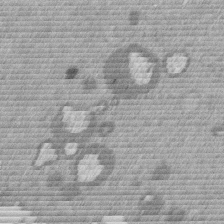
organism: Mouse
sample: Dividing mouse embryo 1 cell stage